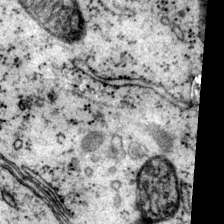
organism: Mouse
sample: Primary visual cortex